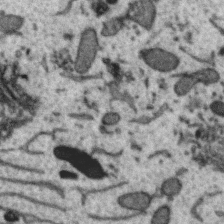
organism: Zebra finch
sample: Brain